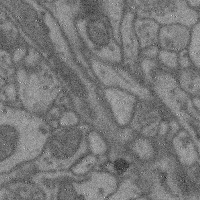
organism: Mouse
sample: Cerebral cortex